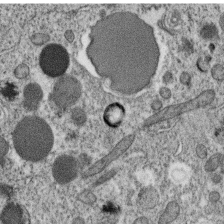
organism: C. elegans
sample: C. elegans oocyte; sperm cells